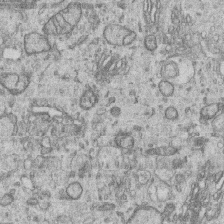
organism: Human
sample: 1205lu cells